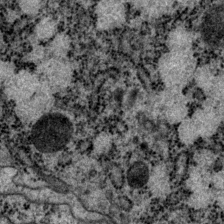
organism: P. pacificus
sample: Pharynx